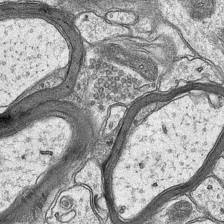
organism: Mouse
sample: CA1 Hippocampus